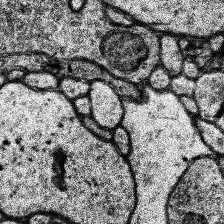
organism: Human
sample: Temporal Lobe